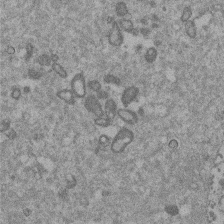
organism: Mouse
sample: Dividing mouse embryo 1 cell stage